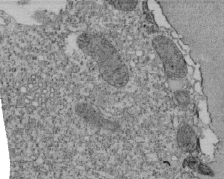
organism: Tetrahymena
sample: Cilia in tetrahymena